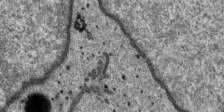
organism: Human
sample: Lung epithelial cells, uninfected (mock) control